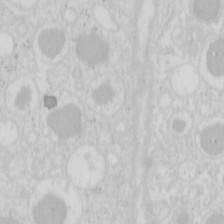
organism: Mouse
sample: Pancreas